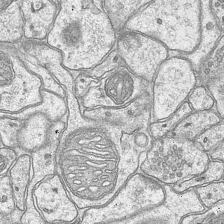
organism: Mouse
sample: CA1 Hippocampus